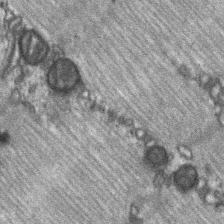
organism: C57BL Mouse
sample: Soleus